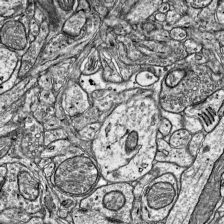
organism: Mouse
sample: Visual Cortex